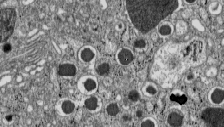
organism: C57BL Mouse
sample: Pancreatic islet